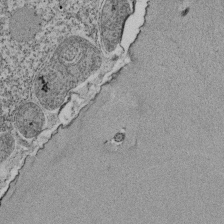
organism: Tetrahymena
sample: Cilia in tetrahymena